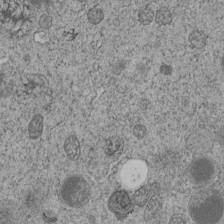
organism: C. elegans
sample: C. elegans embryo early stage